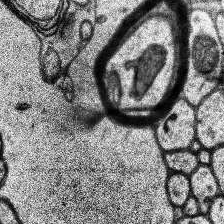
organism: Human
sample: Temporal Lobe